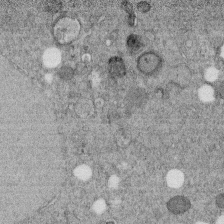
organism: C. elegans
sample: C. elegans embryo early stage